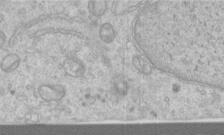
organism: Human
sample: Centriole in RPE cells